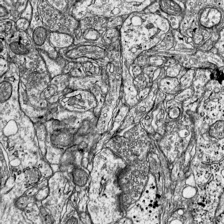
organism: Mouse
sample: Visual Cortex